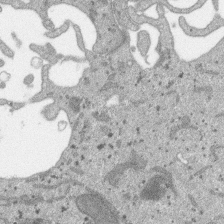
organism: Human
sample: Lung epithelial cells infected with SARS-CoV-2